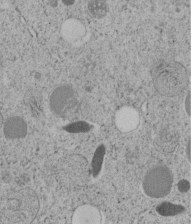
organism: C. elegans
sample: C. elegans embryo early stage